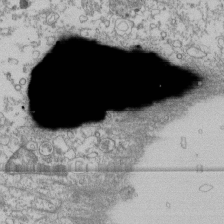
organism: Human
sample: Fibroblast cells